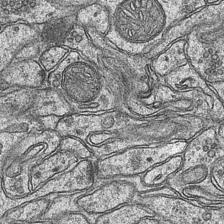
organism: Mouse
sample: CA1 Hippocampus